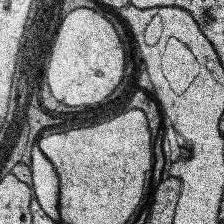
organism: Human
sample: Temporal Lobe